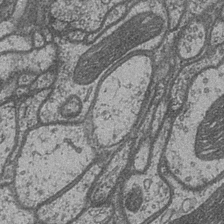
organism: Drosophila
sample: Optic medulla